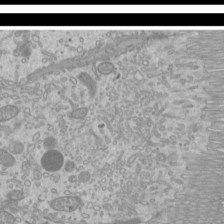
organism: Mouse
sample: Cilia; mouse epididymis